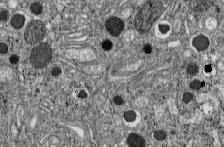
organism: C57BL Mouse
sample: Pancreatic islet